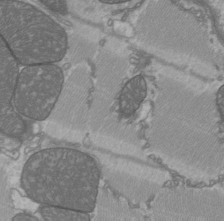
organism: C57BL Mouse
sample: Heart